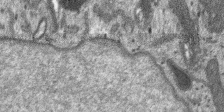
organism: Human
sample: Lung epithelial cells infected with SARS-CoV-2